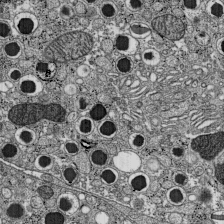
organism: C57BL Mouse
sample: Pancreatic islet